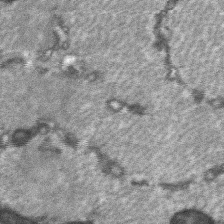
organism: C57BL Mouse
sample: Soleus